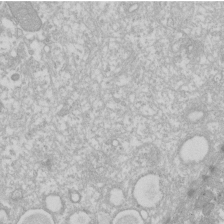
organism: Xenopus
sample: Cilia; centrioles in frog embryo cells